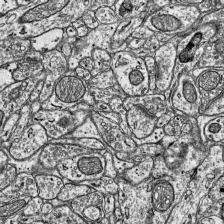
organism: Mouse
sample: Visual Cortex